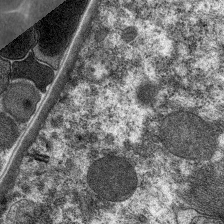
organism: C. elegans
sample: Pharynx